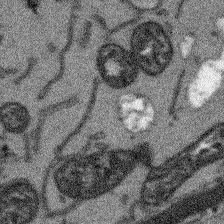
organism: Arabidopsis thaliana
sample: Root tip